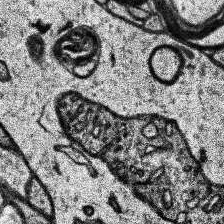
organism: Human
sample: Temporal Lobe